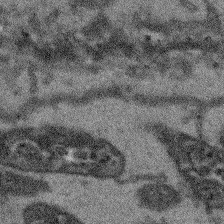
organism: Arabidopsis thaliana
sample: Root tip